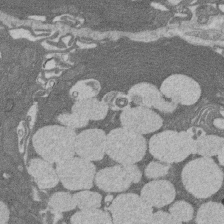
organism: Rat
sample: Salivary granule